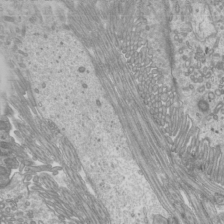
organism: Mouse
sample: Cilia; mouse epididymis